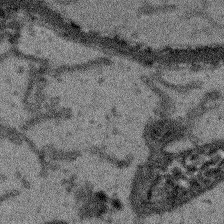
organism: Arabidopsis thaliana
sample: Root tip